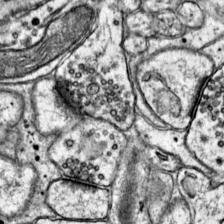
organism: Mouse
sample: Primary visual cortex